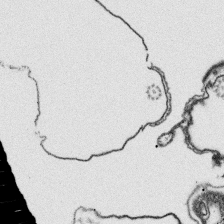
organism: Platynereis dumerilii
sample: Parapodia